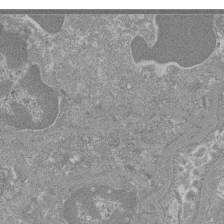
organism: Mouse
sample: Glomerulus